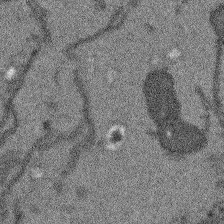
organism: Arabidopsis thaliana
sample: Root tip